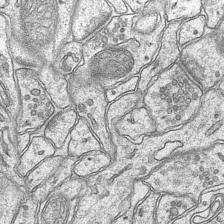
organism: Mouse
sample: CA1 Hippocampus